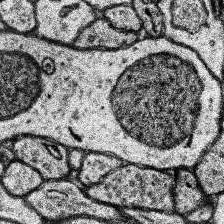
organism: Human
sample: Temporal Lobe